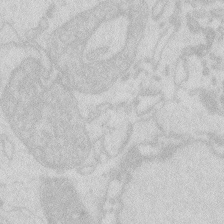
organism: Zebrafish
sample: Macrophage